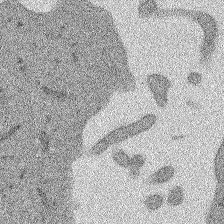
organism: Human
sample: HeLa cells